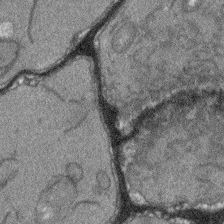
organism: Arabidopsis thaliana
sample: Root tip